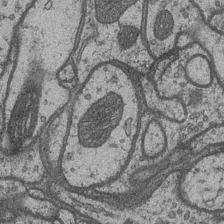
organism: Drosophila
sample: Optic medulla